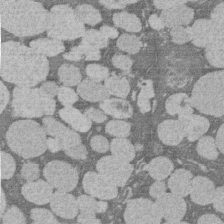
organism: Rat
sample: Salivary granule